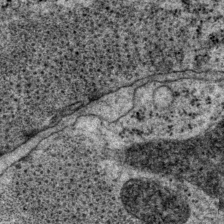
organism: P. pacificus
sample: Pharynx